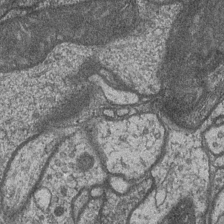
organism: Drosophila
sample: Optic medulla